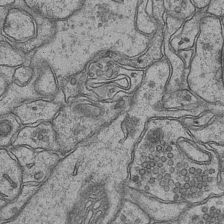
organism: Mouse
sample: CA1 Hippocampus